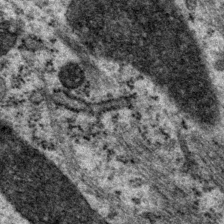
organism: P. pacificus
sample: Pharynx